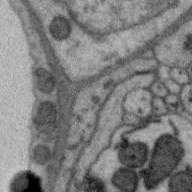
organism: Zebra finch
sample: Brain